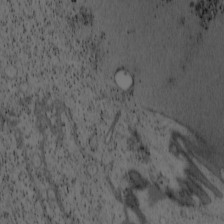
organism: African green monkey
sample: COS-7 cells